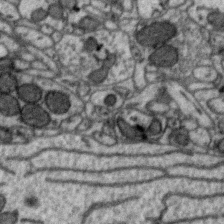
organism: Zebra finch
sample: Brain